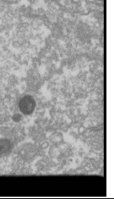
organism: Drosophila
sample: Cell division; meiosis; drosophila spermatocytes